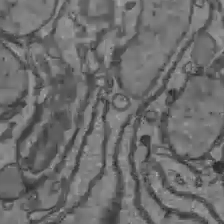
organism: C57BL Mouse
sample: Liver